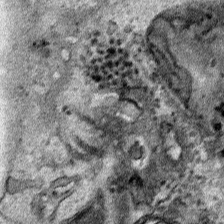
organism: Human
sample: Mitochondria in HCT116 cells